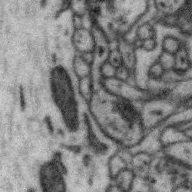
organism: Zebra finch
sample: Brain